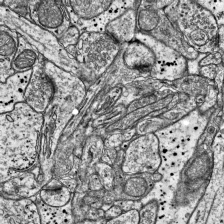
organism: Mouse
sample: Visual Cortex